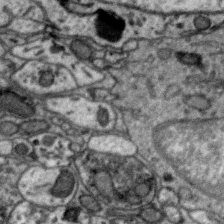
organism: Zebra finch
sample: Brain